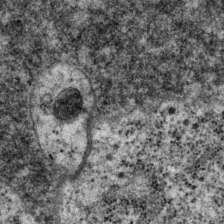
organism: P. pacificus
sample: Pharynx